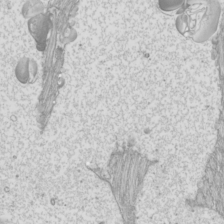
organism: Mouse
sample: Cilia; mouse epididymis